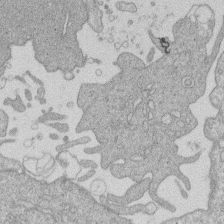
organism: Human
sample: Macrophage cells